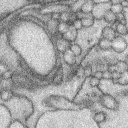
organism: Rabbit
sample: Retina